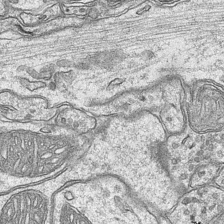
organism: Mouse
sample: CA1 Hippocampus